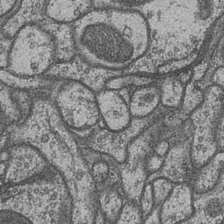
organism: Drosophila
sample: Optic medulla